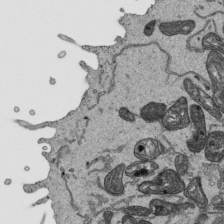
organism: Human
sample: Mitochondria in HCT116 cells